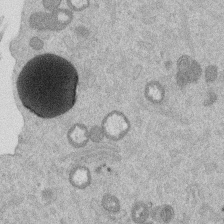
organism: Mouse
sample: Dividing mouse embryo 1 cell stage